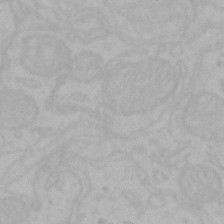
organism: Mouse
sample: Choroid plexus